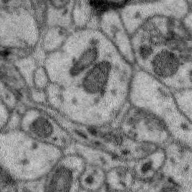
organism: Zebra finch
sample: Brain